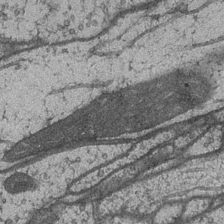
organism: Drosophila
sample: Optic medulla